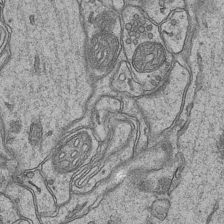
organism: Mouse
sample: CA1 Hippocampus